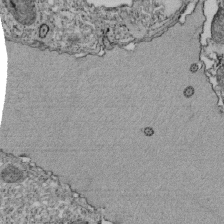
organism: Tetrahymena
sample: Cilia in tetrahymena